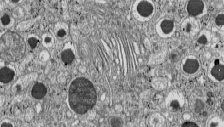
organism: C57BL Mouse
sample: Pancreatic islet